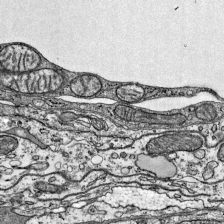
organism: Mouse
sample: Visual Cortex